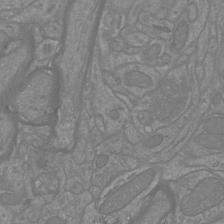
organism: Mouse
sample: Cortical neurons